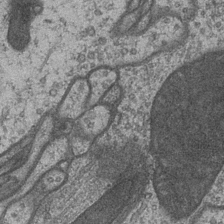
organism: Drosophila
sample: Optic medulla